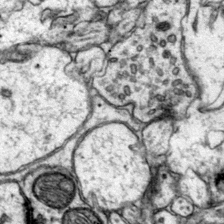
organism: Mouse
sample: Primary visual cortex